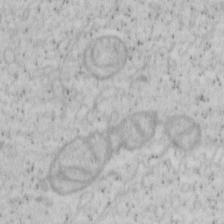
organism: Human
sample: HeLa cells